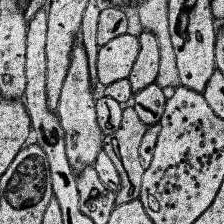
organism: Human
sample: Temporal Lobe